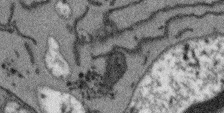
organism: Arabidopsis thaliana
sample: Root tip